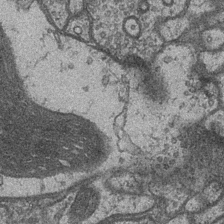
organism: Drosophila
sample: Optic medulla